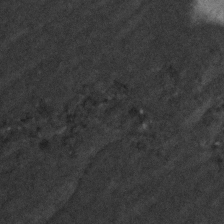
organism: Zebrafish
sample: Zebrafish embryo